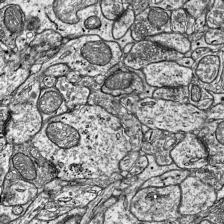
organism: Mouse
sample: Visual Cortex